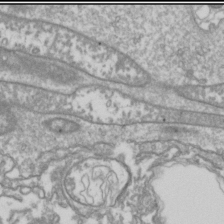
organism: Drosophila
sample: Cell division; meiosis; drosophila spermatocytes